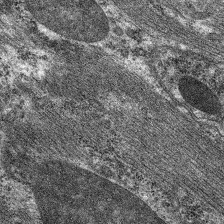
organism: C. elegans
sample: Pharynx